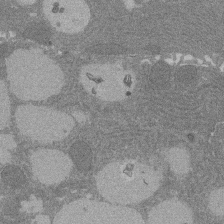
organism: Rat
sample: Salivary granule